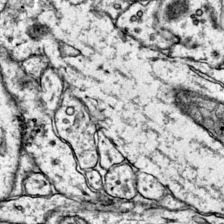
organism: Mouse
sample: Primary visual cortex